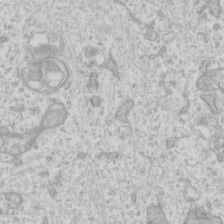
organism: Human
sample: Fibroblast cells